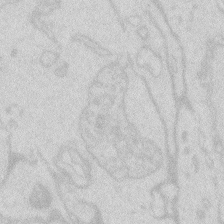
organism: Zebrafish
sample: Macrophage